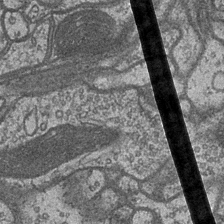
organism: Drosophila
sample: Optic medulla